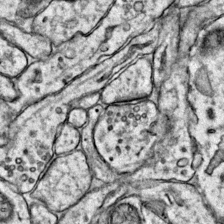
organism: Mouse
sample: Primary visual cortex